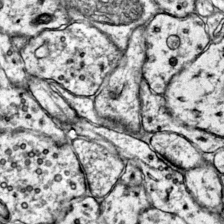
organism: Mouse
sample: Primary visual cortex